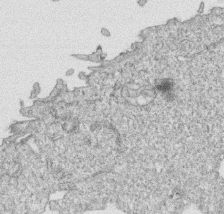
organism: Human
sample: HeLa cell HIV synapse